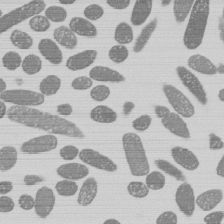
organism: E. coli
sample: Bacterial nucleoid